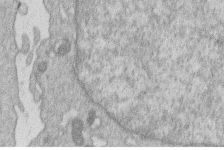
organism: Human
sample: Macrophage cells